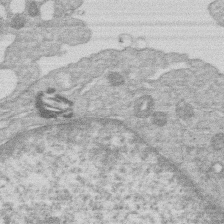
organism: Human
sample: Macrophage cells